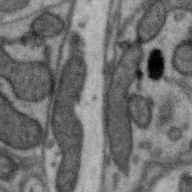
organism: Zebra finch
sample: Brain